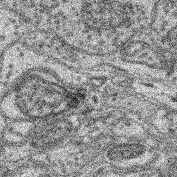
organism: Mouse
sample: Retina